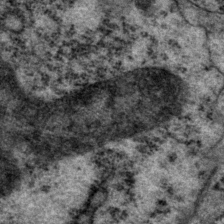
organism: P. pacificus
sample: Pharynx